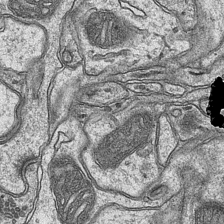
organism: Mouse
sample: CA1 Hippocampus